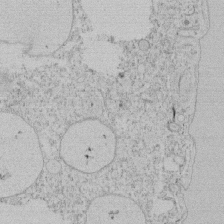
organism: Tetrahymena